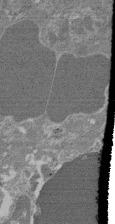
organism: Mouse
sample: Glomerulus